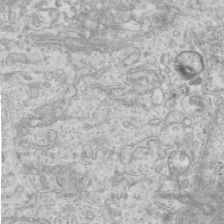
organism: Mouse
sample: Centriole in ependymal cells